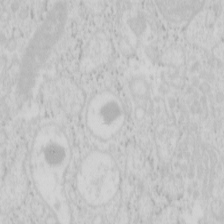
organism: Mouse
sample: Pancreas